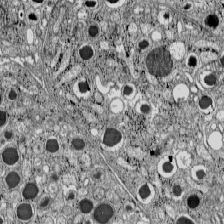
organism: C57BL Mouse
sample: Pancreatic islet